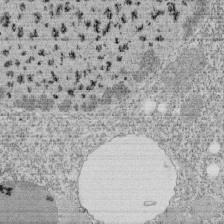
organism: Tetrahymena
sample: Cilia in tetrahymena